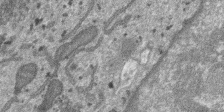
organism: Human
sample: Lung epithelial cells infected with SARS-CoV-2